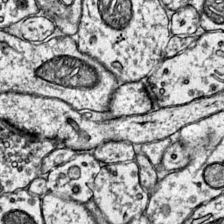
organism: Mouse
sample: Primary visual cortex